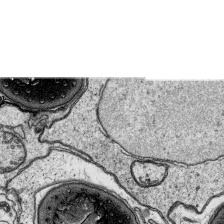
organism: Platynereis dumerilii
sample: Parapodia